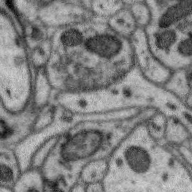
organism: Zebra finch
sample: Brain